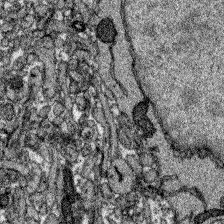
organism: Zebrafish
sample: Larval olfactory bulb